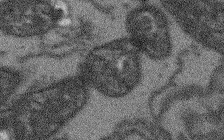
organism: Arabidopsis thaliana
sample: Root tip